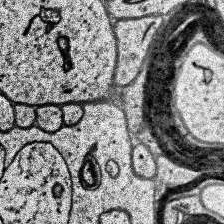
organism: Human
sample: Temporal Lobe